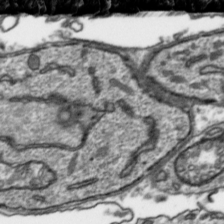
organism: Toxoplasma gondii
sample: Parasites in a vacuole inside a host cell